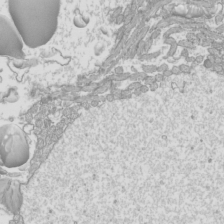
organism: Mouse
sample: Cilia; mouse epididymis